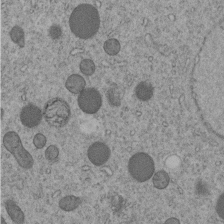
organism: C. elegans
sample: C. elegans embryo early stage